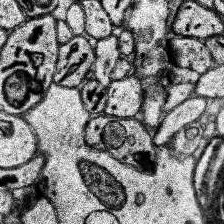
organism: Human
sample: Temporal Lobe